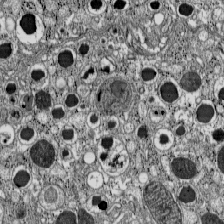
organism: C57BL Mouse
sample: Pancreatic islet